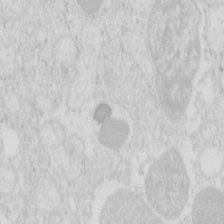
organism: Mouse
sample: Pancreas